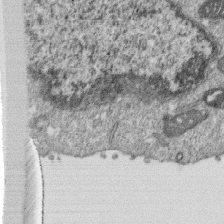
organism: African green monkey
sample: Vero E6 cells infected with SARS-CoV-2